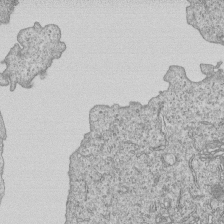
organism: Human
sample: MDA-MB-231 cells